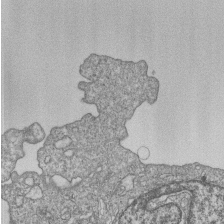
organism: Human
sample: MDA-MB-231 cells